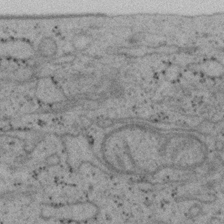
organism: Human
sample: HeLa cells